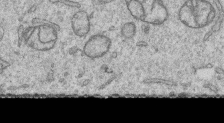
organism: Human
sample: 1205lu cells